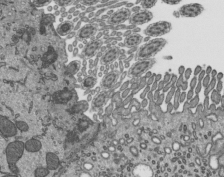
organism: Mouse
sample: Mouse epididymis efferent ductule cilia